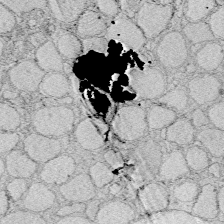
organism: Zebrafish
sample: Whole-Brain